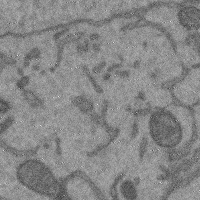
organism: Mouse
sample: Cerebral cortex